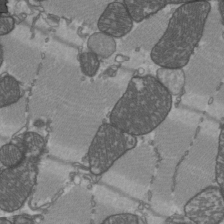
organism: C57BL Mouse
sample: Heart